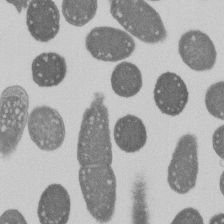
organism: E. coli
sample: Bacterial nucleoid